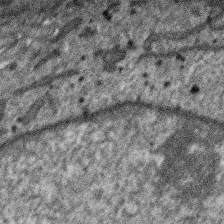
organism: Human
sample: Lung epithelial cells infected with SARS-CoV-2